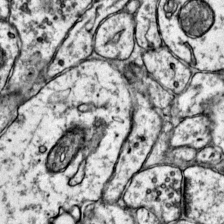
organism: Mouse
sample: Primary visual cortex